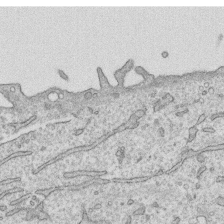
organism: Human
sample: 1205lu cells